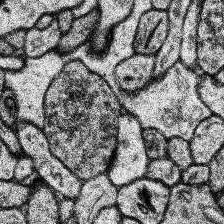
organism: Human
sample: Temporal Lobe